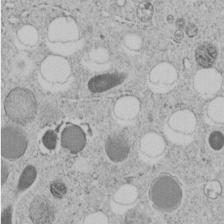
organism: C. elegans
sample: C. elegans embryo early stage